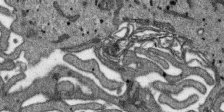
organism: Human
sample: Lung epithelial cells, uninfected (mock) control